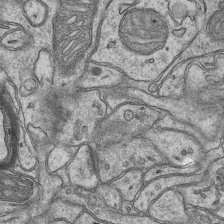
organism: Mouse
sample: CA1 Hippocampus